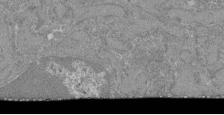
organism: Mouse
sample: Glomerulus